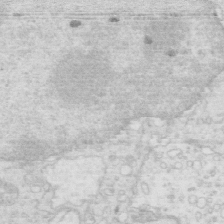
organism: Mouse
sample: Multiciliated cells